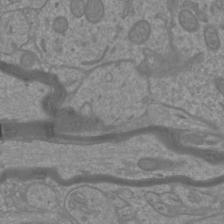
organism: Mouse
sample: Cortical neurons